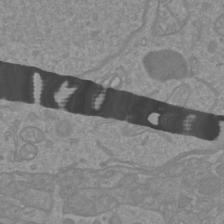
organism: Mouse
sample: Cortical neurons